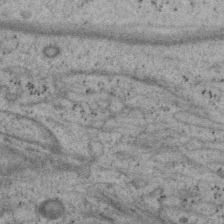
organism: Human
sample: HeLa cells